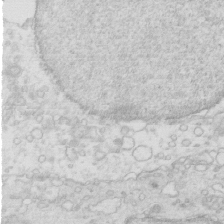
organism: Mouse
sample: Multiciliated cells